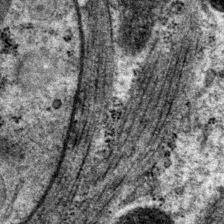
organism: P. pacificus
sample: Pharynx